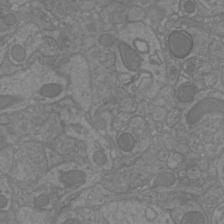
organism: Mouse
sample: Cortical neurons